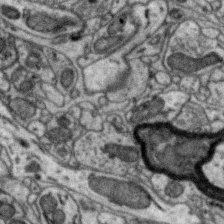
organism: Zebra finch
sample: Brain